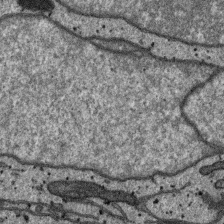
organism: Human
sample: Lung epithelial cells, uninfected (mock) control